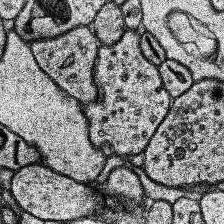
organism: Human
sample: Temporal Lobe